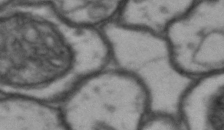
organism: Drosophila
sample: Brain